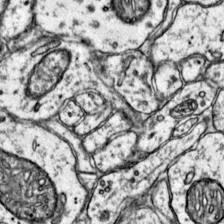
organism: Mouse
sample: Primary visual cortex